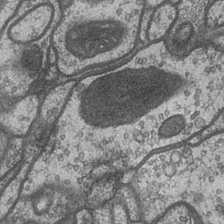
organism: Drosophila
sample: Optic medulla